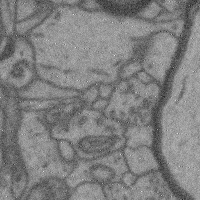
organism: Mouse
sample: Cerebral cortex